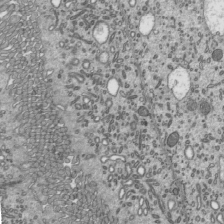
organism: Mouse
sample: Mouse epididymis efferent ductule cilia